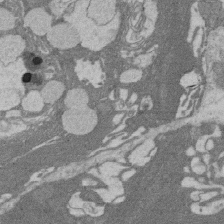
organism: Rat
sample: Salivary granule